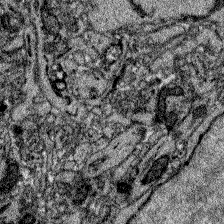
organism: Zebrafish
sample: Larval olfactory bulb